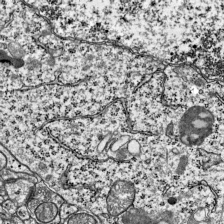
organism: Mouse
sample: Visual Cortex